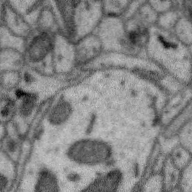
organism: Zebra finch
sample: Brain